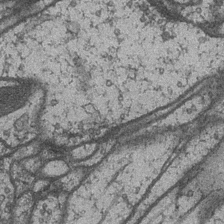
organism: Drosophila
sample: Optic medulla